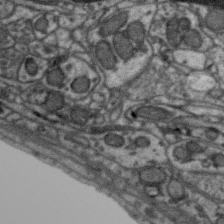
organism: Zebra finch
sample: Brain